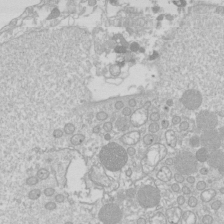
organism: Drosophila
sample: Cell division; meiosis; drosophila spermatocytes